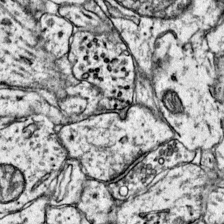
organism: Mouse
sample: Primary visual cortex